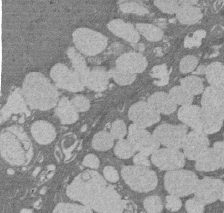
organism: Rat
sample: Salivary granule